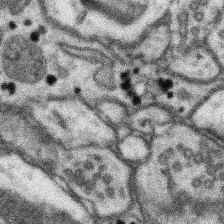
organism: Mouse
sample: Somatosensory cortex neuropil